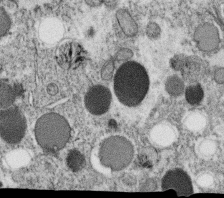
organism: C. elegans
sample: C. elegans oocyte; sperm cells